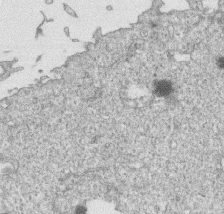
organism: Human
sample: HeLa cell HIV synapse